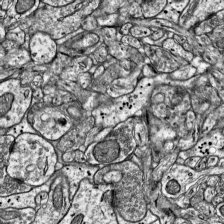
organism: Mouse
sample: Visual Cortex